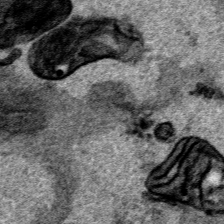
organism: Human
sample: Mitochondria in HCT116 cells